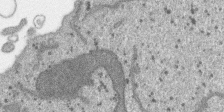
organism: Human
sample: Lung epithelial cells infected with SARS-CoV-2